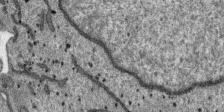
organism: Human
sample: Lung epithelial cells, uninfected (mock) control